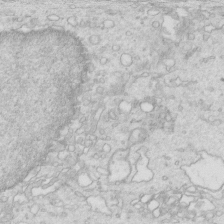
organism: Mouse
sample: Multiciliated cells